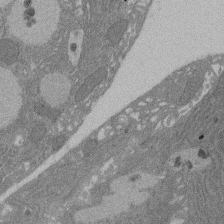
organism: Rat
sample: Salivary granule